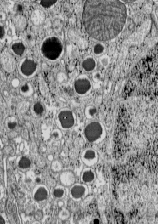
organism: C57BL Mouse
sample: Pancreatic islet